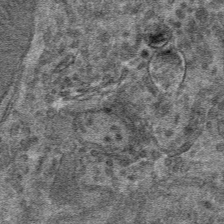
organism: Mouse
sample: Mouse hepatocytes